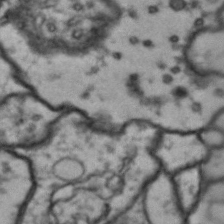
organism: Drosophila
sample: Brain